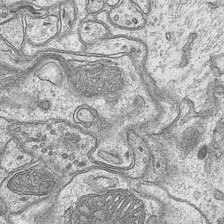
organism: Mouse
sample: CA1 Hippocampus